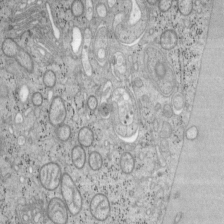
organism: Mouse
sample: OT-I killer T cells with ID8 ovarian cancer cells